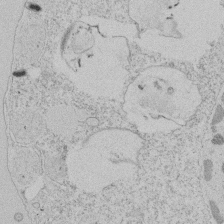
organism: Tetrahymena